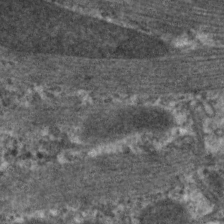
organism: C. elegans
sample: Pharynx